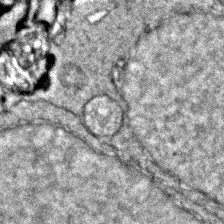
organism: Zebrafish